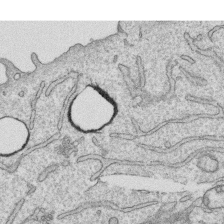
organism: Human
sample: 1205lu cells